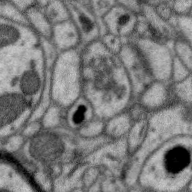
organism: Zebra finch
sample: Brain